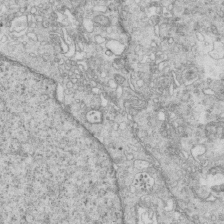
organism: Mouse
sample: Multiciliated cells